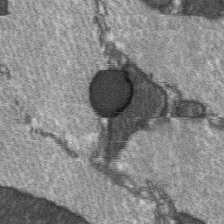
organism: C57BL Mouse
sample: Soleus